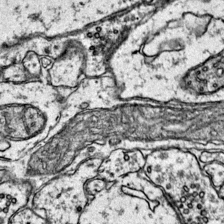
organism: Mouse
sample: Primary visual cortex